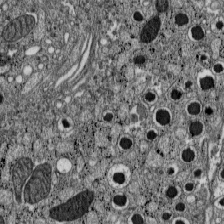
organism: C57BL Mouse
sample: Pancreatic islet